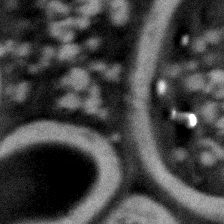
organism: Zebrafish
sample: Zebrafish embryo